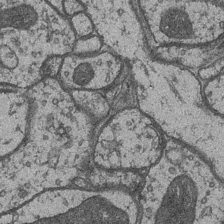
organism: Drosophila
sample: Optic medulla